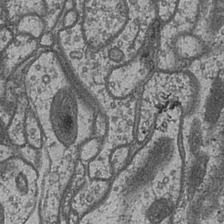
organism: Drosophila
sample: Optic medulla